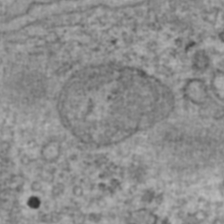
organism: Human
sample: Blood